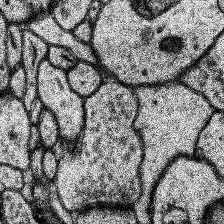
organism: Human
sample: Temporal Lobe